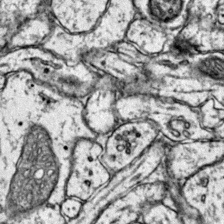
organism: Mouse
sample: Primary visual cortex